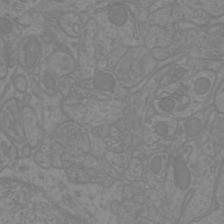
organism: Mouse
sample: Cortical neurons